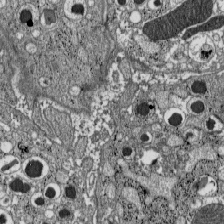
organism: C57BL Mouse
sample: Pancreatic islet